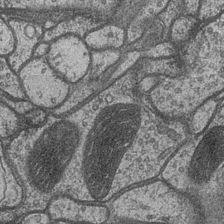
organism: Drosophila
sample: Optic medulla